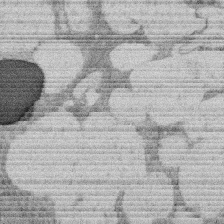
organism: Rat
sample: Salivary granule